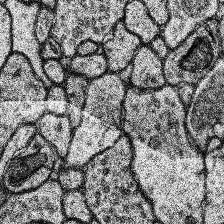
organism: Human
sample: Temporal Lobe